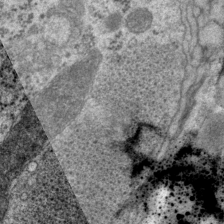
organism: P. pacificus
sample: Pharynx